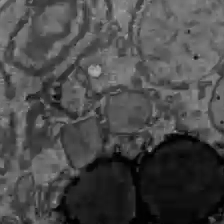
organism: C57BL Mouse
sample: Liver